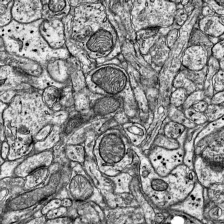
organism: Mouse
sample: Visual Cortex